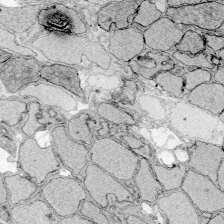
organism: Zebrafish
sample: Whole-Brain